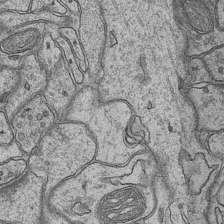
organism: Mouse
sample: CA1 Hippocampus